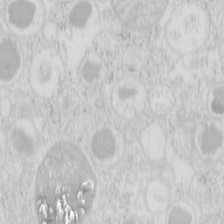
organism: Mouse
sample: Pancreas